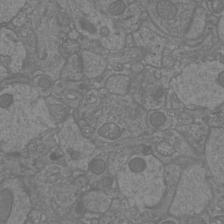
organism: Mouse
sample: Cortical neurons